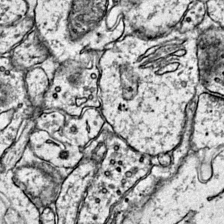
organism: Mouse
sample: Primary visual cortex